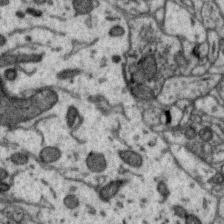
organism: Zebra finch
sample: Brain